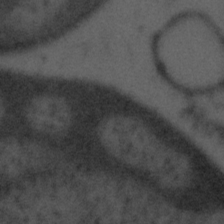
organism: Tuwongella immobilis